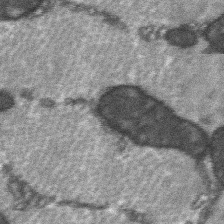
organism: C57BL Mouse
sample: Soleus